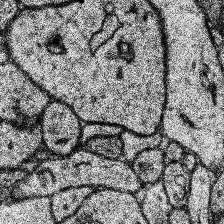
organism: Human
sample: Temporal Lobe